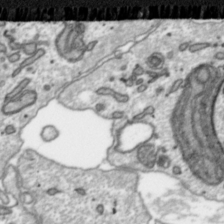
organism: Toxoplasma gondii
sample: Parasites in a vacuole inside a host cell